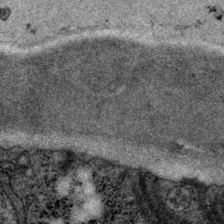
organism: P. pacificus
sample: Pharynx